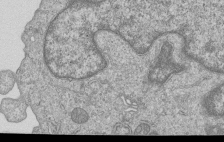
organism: Human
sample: MDA-MB-231 cells